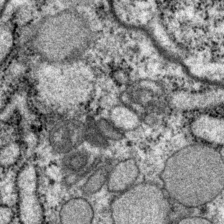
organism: P. pacificus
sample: Pharynx